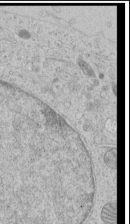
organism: Human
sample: Mitochondria in HCT116 cells